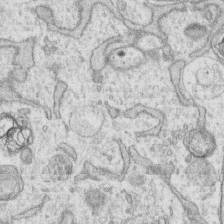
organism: Human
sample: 1205lu cells